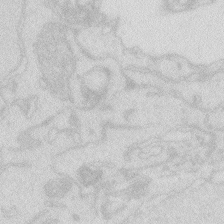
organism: Zebrafish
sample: Macrophage